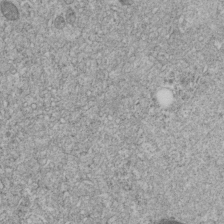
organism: C. elegans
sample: C. elegans embryo early stage